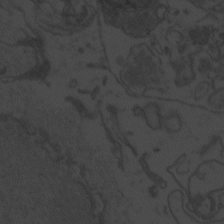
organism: Zebrafish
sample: Macrophage infected with Toxoplasma gondii